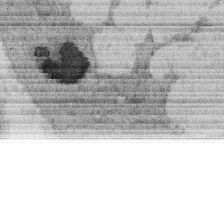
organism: Rat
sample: Salivary granule